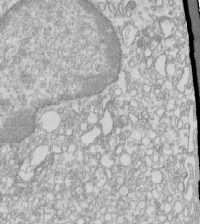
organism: Mouse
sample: Macrophages